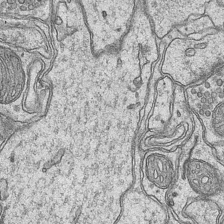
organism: Mouse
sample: CA1 Hippocampus